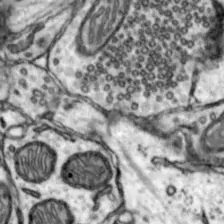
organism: Mouse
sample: Nucleus accumbens